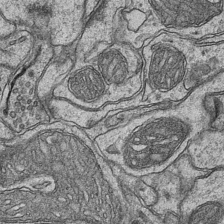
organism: Mouse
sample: CA1 Hippocampus